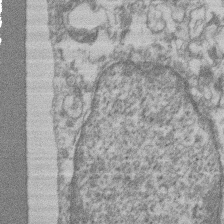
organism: Mouse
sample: T cell stromal cell synapse